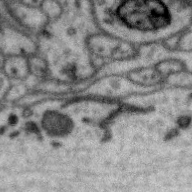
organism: Zebra finch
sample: Brain